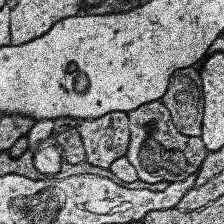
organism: Human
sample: Temporal Lobe